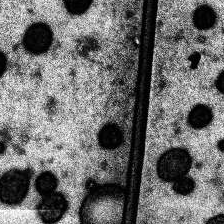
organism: Human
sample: Temporal Lobe